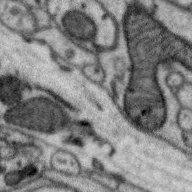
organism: Zebra finch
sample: Brain